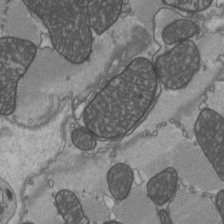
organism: C57BL Mouse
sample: Heart